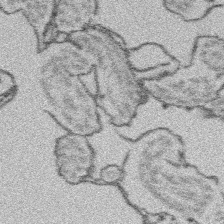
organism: Platynereis dumerilii